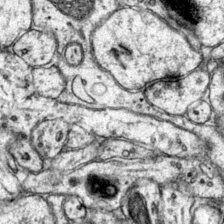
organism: Mouse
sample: Primary visual cortex